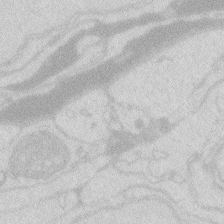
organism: Zebrafish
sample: Macrophage